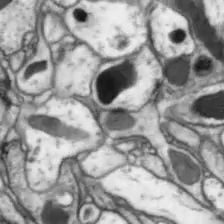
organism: Drosophila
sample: Optic lobe